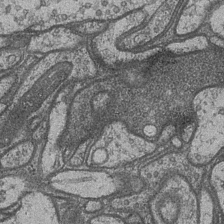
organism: Drosophila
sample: Optic medulla